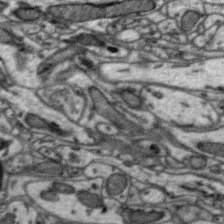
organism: Zebra finch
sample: Brain